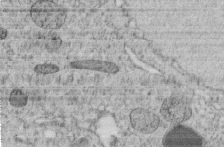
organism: C. elegans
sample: C. elegans embryo early stage